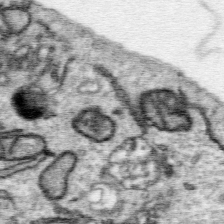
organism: Human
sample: HeLa cells